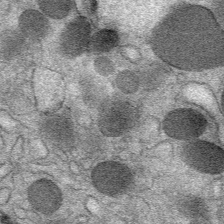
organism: Mouse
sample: Mouse Salivary gland